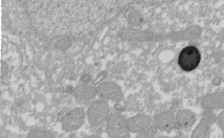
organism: Xenopus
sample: Cilia; centrioles in frog embryo cells